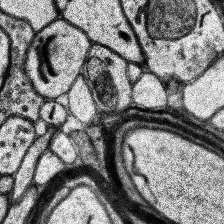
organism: Human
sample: Temporal Lobe